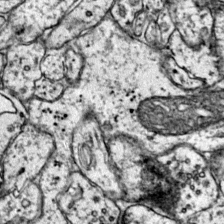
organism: Mouse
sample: Primary visual cortex